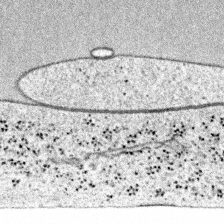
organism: Human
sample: HeLa cells